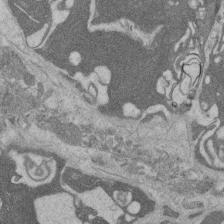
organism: Rat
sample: Salivary granule